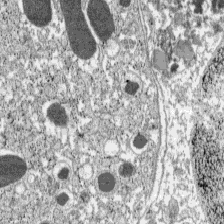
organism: C57BL Mouse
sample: Pancreatic islet